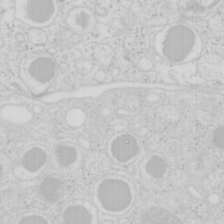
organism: Mouse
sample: Pancreas